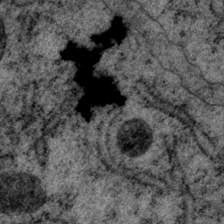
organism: P. pacificus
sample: Pharynx